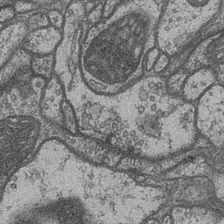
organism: Drosophila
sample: Optic medulla